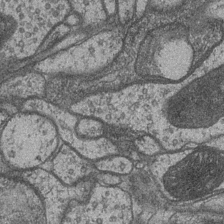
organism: Drosophila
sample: Optic medulla